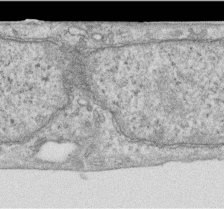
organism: Human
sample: Centriole in RPE cells